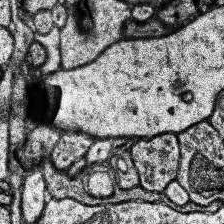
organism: Human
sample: Temporal Lobe